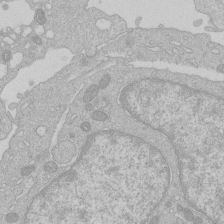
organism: Human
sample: Macrophage cells